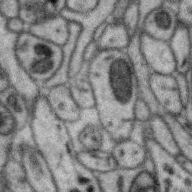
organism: Zebra finch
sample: Brain